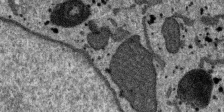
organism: Human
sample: Lung epithelial cells, uninfected (mock) control